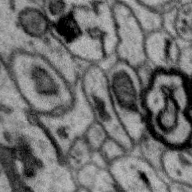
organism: Zebra finch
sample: Brain